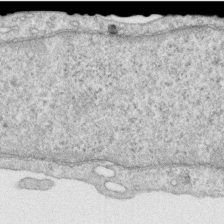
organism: Human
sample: Centriole in RPE cells